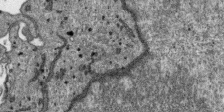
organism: Human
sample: Lung epithelial cells, uninfected (mock) control